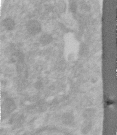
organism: Human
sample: Centriole in RPE cells